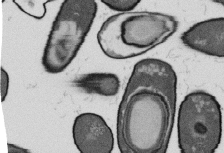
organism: B. subtilis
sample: Bacterial spore